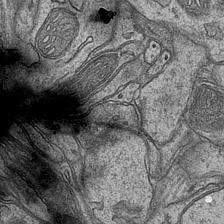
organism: Mouse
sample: CA1 Hippocampus